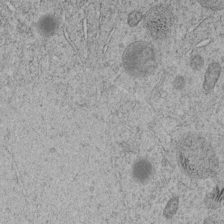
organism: C. elegans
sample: C. elegans embryo early stage